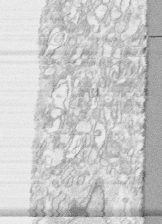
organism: Human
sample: CRL-1474